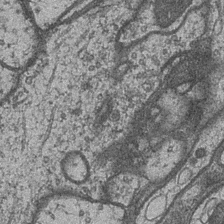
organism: Drosophila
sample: Optic medulla